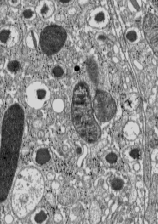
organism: C57BL Mouse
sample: Pancreatic islet